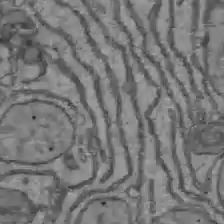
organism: C57BL Mouse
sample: Liver